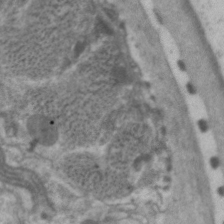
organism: C. elegans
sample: Pharynx